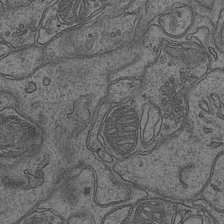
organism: Mouse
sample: CA1 Hippocampus